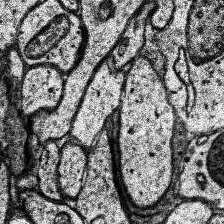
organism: Human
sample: Temporal Lobe